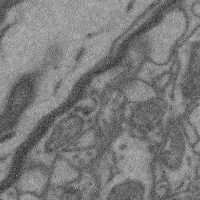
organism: Mouse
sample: Cerebral cortex